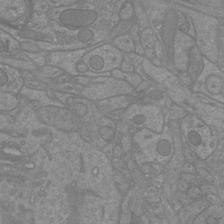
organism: Mouse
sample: Cortical neurons